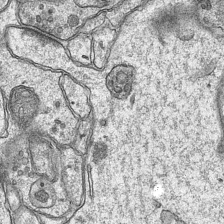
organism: Mouse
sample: CA1 Hippocampus